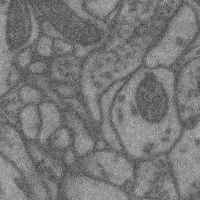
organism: Mouse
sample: Cerebral cortex